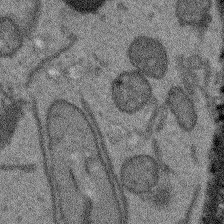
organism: Arabidopsis thaliana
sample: Root tip